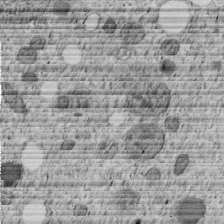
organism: C. elegans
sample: C. elegans embryo early stage